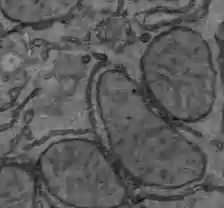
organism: C57BL Mouse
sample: Liver